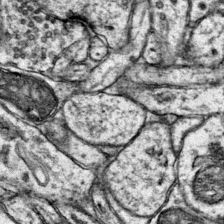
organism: Mouse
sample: Primary visual cortex